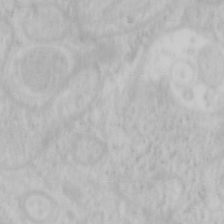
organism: Mouse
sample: OT-I killer T cells with ID8 ovarian cancer cells